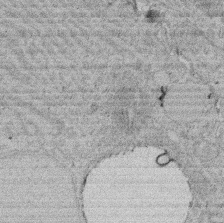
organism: Rat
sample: Salivary granule